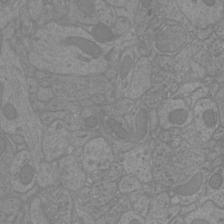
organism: Mouse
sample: Cortical neurons